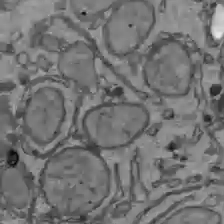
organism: C57BL Mouse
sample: Liver